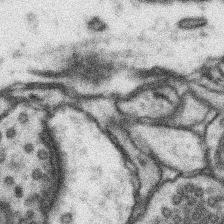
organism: Mouse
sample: Somatosensory cortex neuropil